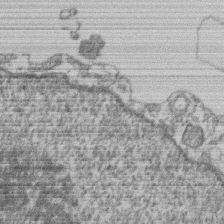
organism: Mouse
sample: T cell stromal cell synapse